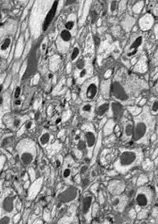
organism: Drosophila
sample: Optic lobe